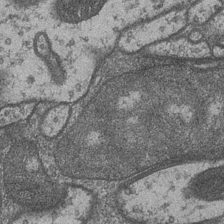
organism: Drosophila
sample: Optic medulla